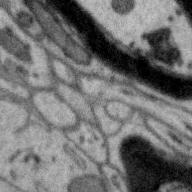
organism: Zebra finch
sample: Brain